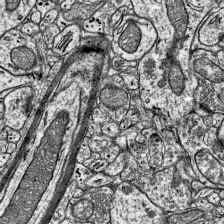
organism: Mouse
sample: Visual Cortex